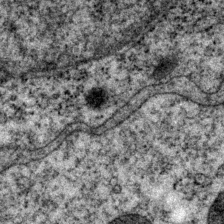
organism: P. pacificus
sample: Pharynx